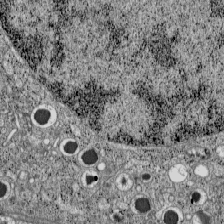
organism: C57BL Mouse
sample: Pancreatic islet